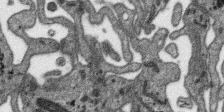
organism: Human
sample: Lung epithelial cells infected with SARS-CoV-2